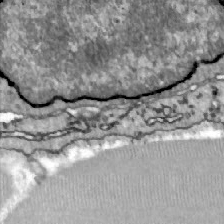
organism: Zebrafish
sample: Actinotrichia fibers